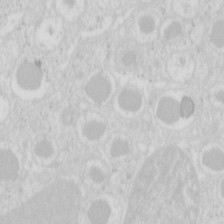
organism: Mouse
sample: Pancreas